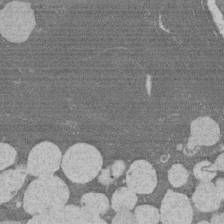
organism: Rat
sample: Salivary granule